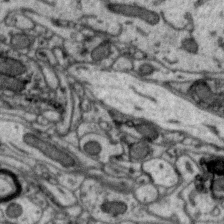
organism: Zebra finch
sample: Brain